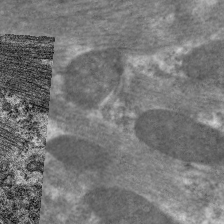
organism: C. elegans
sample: Pharynx